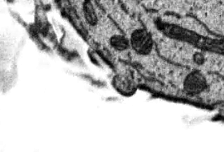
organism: Human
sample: HeLa cells